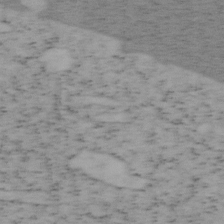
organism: Mouse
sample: OT-I killer T cells with ID8 ovarian cancer cells